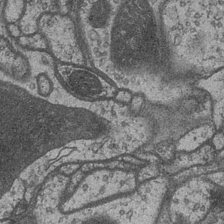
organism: Drosophila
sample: Optic medulla